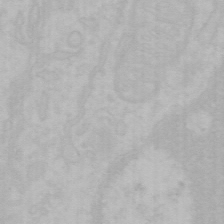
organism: Mouse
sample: Choroid plexus